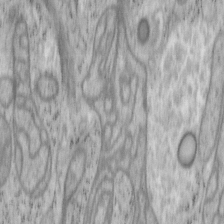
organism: Human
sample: HeLa cells